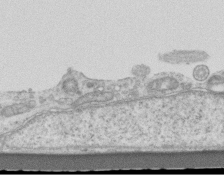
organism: Mouse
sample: Centriole in ependymal cells